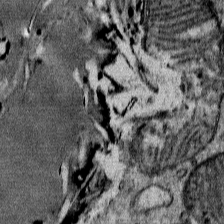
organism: Mouse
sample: Mouse Salivary gland